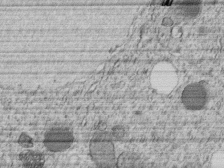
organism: C. elegans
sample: C. elegans embryo early stage